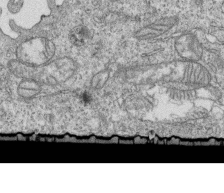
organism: Human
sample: HeLa cell HIV synapse